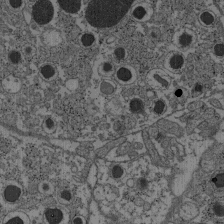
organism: C57BL Mouse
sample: Pancreatic islet